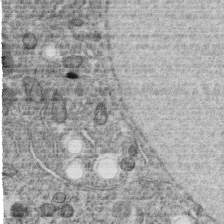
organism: C. elegans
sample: C. elegans oocyte; sperm cells